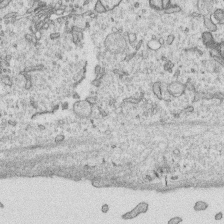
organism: Human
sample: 1205lu cells